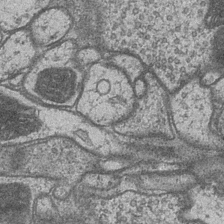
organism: Drosophila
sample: Optic medulla